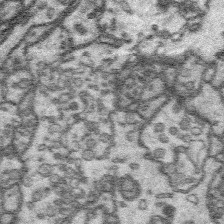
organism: Platynereis dumerilii